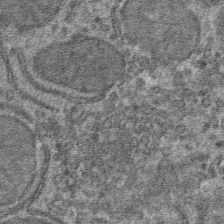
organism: Mouse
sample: Mouse hepatocytes